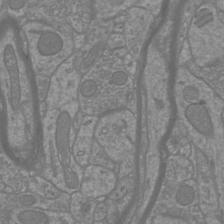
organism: Mouse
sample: Cortical neurons